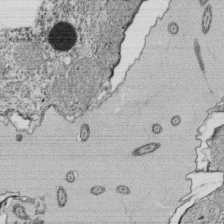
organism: Tetrahymena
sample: Cilia in tetrahymena